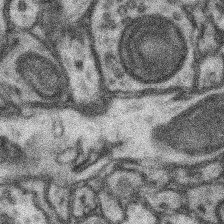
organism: Mouse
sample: Somatosensory cortex neuropil